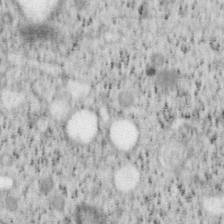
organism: Mouse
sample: OT-I killer T cells with ID8 ovarian cancer cells